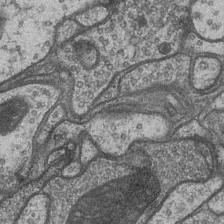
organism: Drosophila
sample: Optic medulla